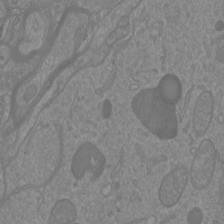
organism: Mouse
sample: Cortical neurons